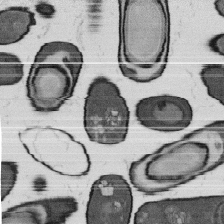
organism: B. subtilis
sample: Bacterial spore